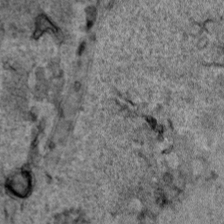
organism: Human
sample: Mitochondria in HCT116 cells